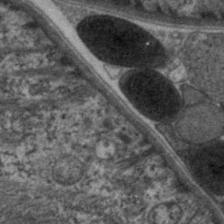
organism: C. elegans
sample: Pharynx